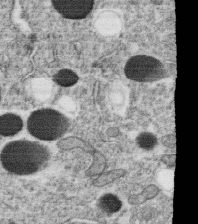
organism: C. elegans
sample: C. elegans oocyte; sperm cells